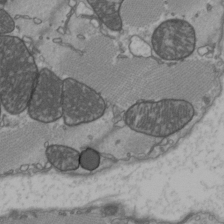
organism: C57BL Mouse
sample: Heart